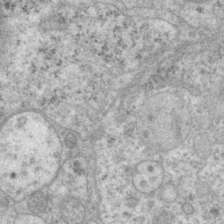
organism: P. pacificus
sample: Pharynx